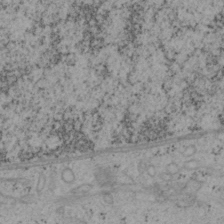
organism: Human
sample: HeLa cells